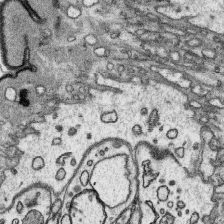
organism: Platynereis dumerilii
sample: Parapodia